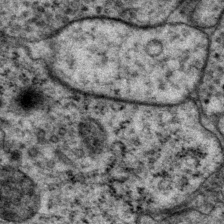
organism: P. pacificus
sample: Pharynx